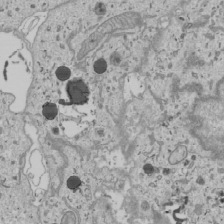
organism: Human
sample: Mitochondria in U2OS cells